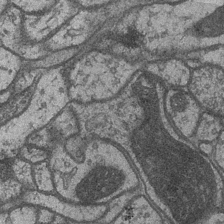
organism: Drosophila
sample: Optic medulla